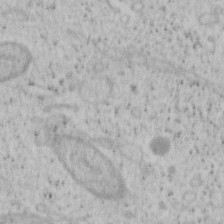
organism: Human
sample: HeLa cells